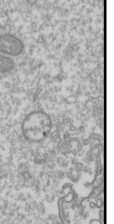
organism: Drosophila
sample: Cell division; meiosis; drosophila spermatocytes